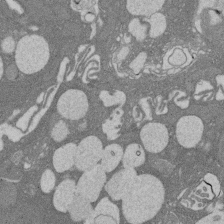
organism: Rat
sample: Salivary granule